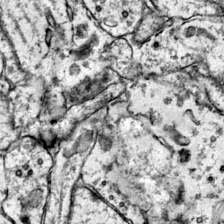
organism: Mouse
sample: Primary visual cortex